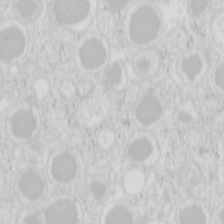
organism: Mouse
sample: Pancreas